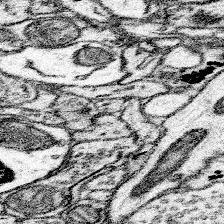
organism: Mouse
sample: Somatosensory cortex neuropil